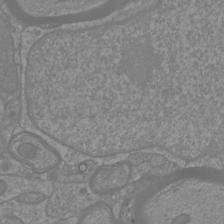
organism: Mouse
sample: Cortical neurons